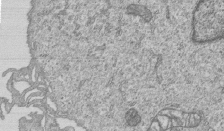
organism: Human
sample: MDA-MB-231 cells